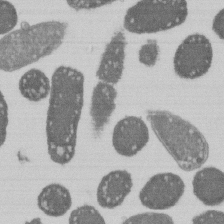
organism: E. coli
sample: Bacterial nucleoid